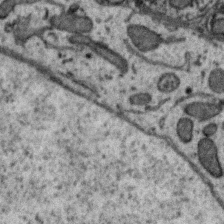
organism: Zebra finch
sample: Brain